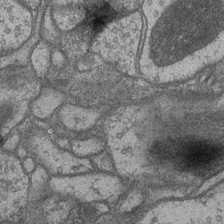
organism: Drosophila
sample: Optic medulla